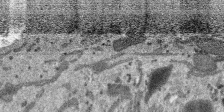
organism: Human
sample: Lung epithelial cells infected with SARS-CoV-2